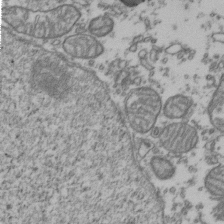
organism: Human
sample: Activated Jurkat CD4+ T cells